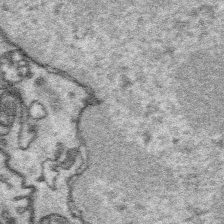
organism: Platynereis dumerilii